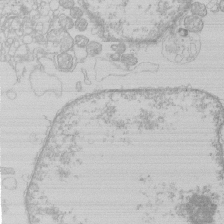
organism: Human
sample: Macrophage cells